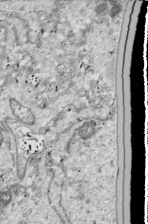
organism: Drosophila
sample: Cell division; meiosis; drosophila spermatocytes